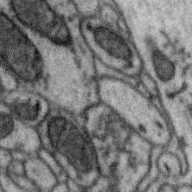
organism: Zebra finch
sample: Brain